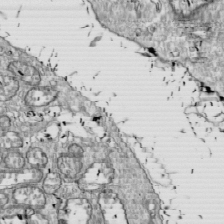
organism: Drosophila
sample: Cell division; meiosis; drosophila spermatocytes